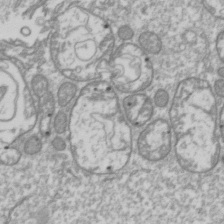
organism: Drosophila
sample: Cell division; meiosis; drosophila spermatocytes